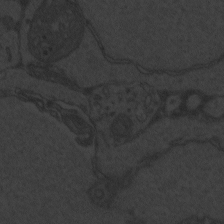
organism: Zebrafish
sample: Macrophage infected with Toxoplasma gondii